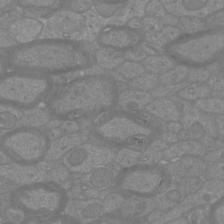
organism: Mouse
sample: Cortical neurons